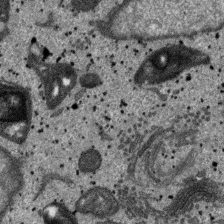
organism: Human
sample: Lung epithelial cells, uninfected (mock) control